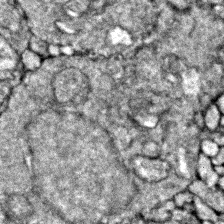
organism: Zebrafish